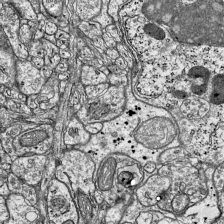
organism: Mouse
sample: Visual Cortex